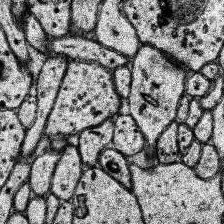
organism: Human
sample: Temporal Lobe